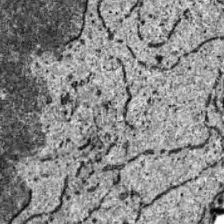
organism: Human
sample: HeLa cells